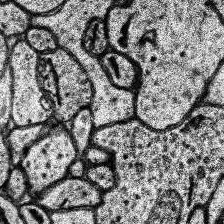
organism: Human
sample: Temporal Lobe